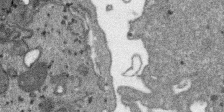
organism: Human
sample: Lung epithelial cells infected with SARS-CoV-2